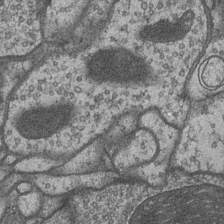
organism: Drosophila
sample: Optic medulla